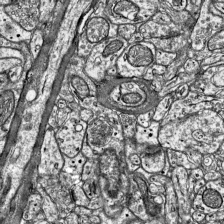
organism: Mouse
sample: Visual Cortex